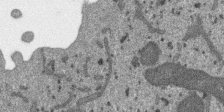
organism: Human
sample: Lung epithelial cells infected with SARS-CoV-2